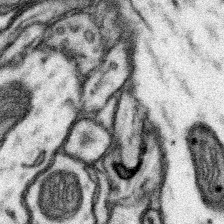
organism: Mouse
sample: Somatosensory cortex neuropil